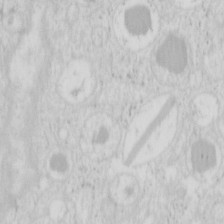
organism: Mouse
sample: Pancreas